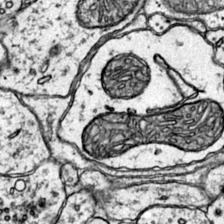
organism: Mouse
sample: Primary visual cortex